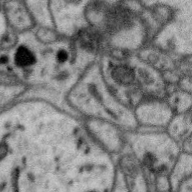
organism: Zebra finch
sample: Brain